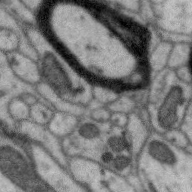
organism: Zebra finch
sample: Brain